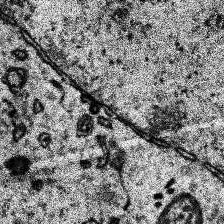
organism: Human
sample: Temporal Lobe